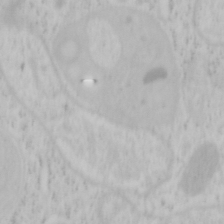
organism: Mouse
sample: OT-I killer T cells with ID8 ovarian cancer cells